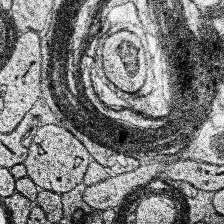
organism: Human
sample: Temporal Lobe